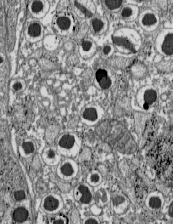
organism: C57BL Mouse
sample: Pancreatic islet